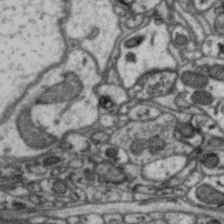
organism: Zebra finch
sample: Brain